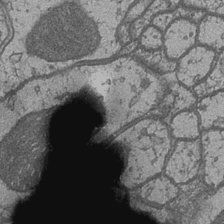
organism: Drosophila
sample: Optic medulla